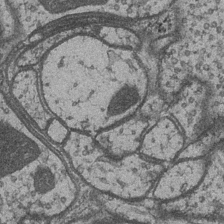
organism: Drosophila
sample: Optic medulla